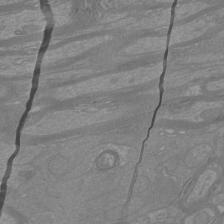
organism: Mouse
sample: Cortical neurons